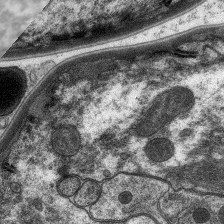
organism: C. elegans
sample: Pharynx